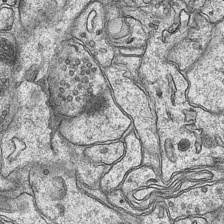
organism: Mouse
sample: CA1 Hippocampus